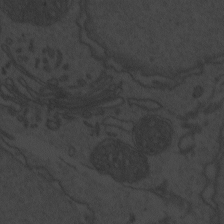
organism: Zebrafish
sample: Macrophage infected with Toxoplasma gondii